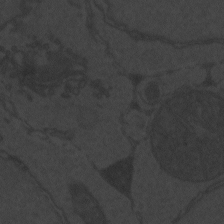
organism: Zebrafish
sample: Macrophage infected with Toxoplasma gondii